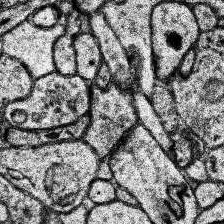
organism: Human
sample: Temporal Lobe